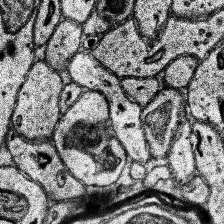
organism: Human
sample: Temporal Lobe